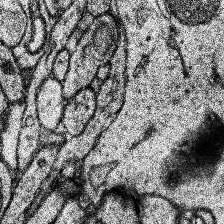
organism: Human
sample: Temporal Lobe